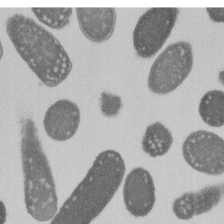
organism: E. coli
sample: Bacterial nucleoid